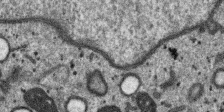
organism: Human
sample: Lung epithelial cells infected with SARS-CoV-2